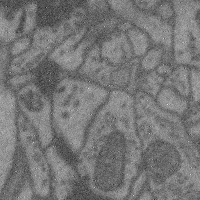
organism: Mouse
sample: Cerebral cortex